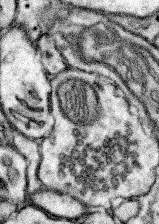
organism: Mouse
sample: Somatosensory cortex neuropil